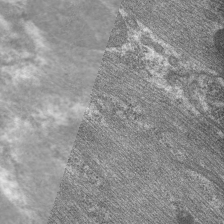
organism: C. elegans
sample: Pharynx